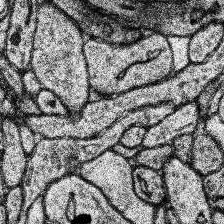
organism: Human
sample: Temporal Lobe